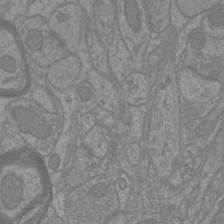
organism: Mouse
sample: Cortical neurons